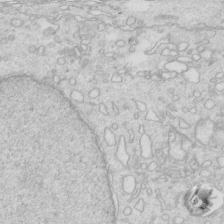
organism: Mouse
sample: Multiciliated cells